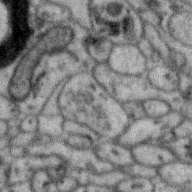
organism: Zebra finch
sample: Brain